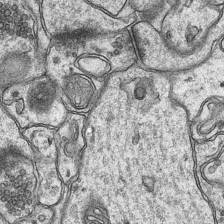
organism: Mouse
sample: CA1 Hippocampus